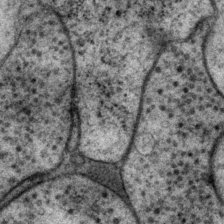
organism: P. pacificus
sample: Pharynx